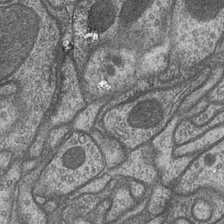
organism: Drosophila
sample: Optic medulla